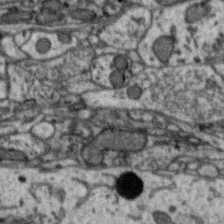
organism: Zebra finch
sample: Brain